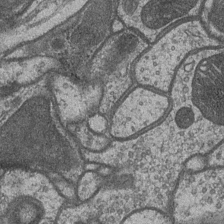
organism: Drosophila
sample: Optic medulla